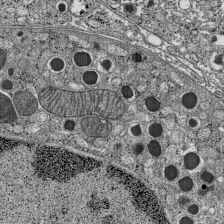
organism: C57BL Mouse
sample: Pancreatic islet